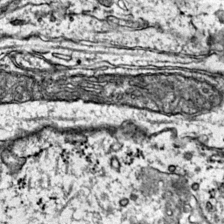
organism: Mouse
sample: Primary visual cortex